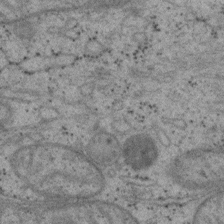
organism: Human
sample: HeLa cells